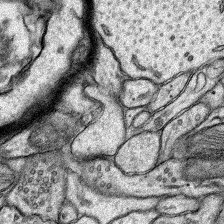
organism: Rat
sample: Hippocampus